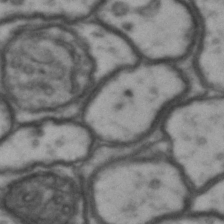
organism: Drosophila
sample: Brain